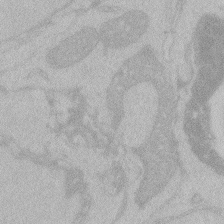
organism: Zebrafish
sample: Macrophage infected with Toxoplasma gondii